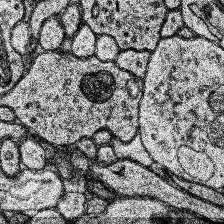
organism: Human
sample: Temporal Lobe